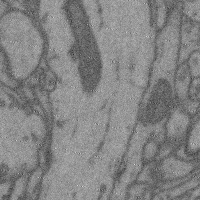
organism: Mouse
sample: Cerebral cortex